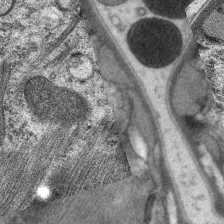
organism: C. elegans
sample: Pharynx